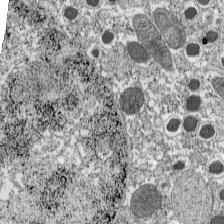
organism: C57BL Mouse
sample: Pancreatic islet